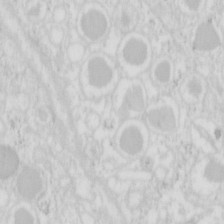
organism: Mouse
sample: Pancreas